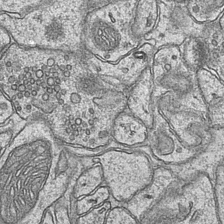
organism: Mouse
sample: CA1 Hippocampus